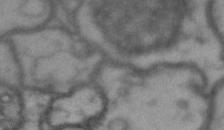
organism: Drosophila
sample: Brain